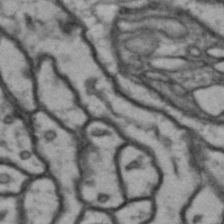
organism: Drosophila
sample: Brain